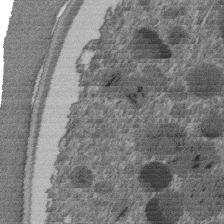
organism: C. elegans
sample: C. elegans embryo early stage